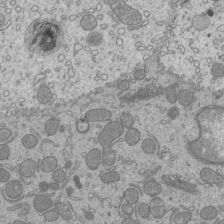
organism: Mouse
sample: Cilia; mouse epididymis